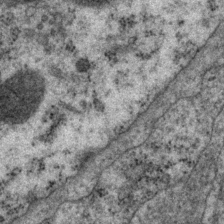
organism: P. pacificus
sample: Pharynx